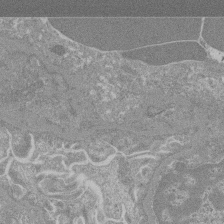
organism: Mouse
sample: Glomerulus